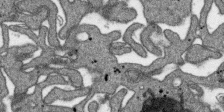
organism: Human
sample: Lung epithelial cells, uninfected (mock) control